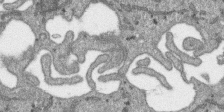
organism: Human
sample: Lung epithelial cells infected with SARS-CoV-2